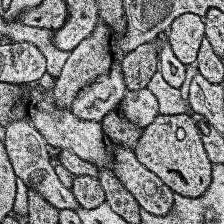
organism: Human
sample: Temporal Lobe